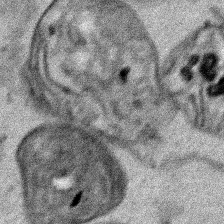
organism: Human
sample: Mitochondria in HCT116 cells